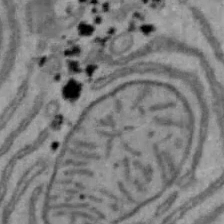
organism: Mouse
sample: Liver